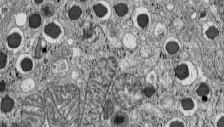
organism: C57BL Mouse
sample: Pancreatic islet